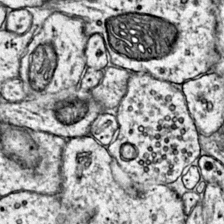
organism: Mouse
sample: Primary visual cortex